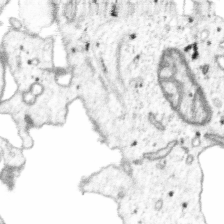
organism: Human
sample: HeLa cells